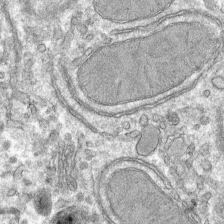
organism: Mouse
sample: Mouse hepatocytes